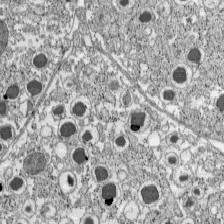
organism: C57BL Mouse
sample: Pancreatic islet